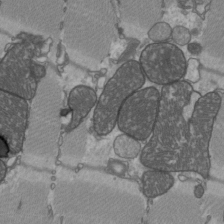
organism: C57BL Mouse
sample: Heart